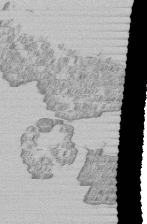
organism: Human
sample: MDA-MB-231 cells